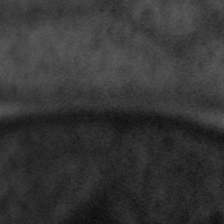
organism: Tuwongella immobilis